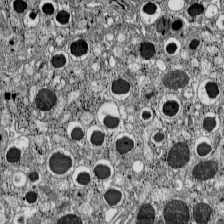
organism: C57BL Mouse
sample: Pancreatic islet